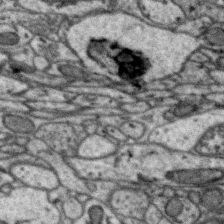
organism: Zebra finch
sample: Brain